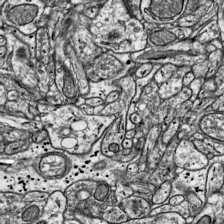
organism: Mouse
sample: Visual Cortex